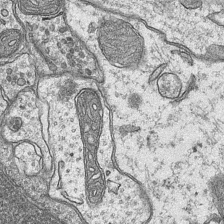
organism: Mouse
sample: CA1 Hippocampus